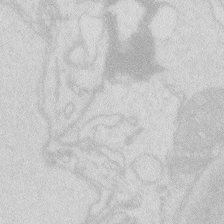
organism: Zebrafish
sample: Macrophage